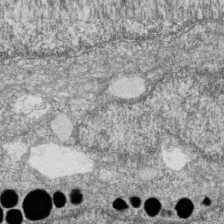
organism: Zebrafish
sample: Cilia; retinal pigment epithelium